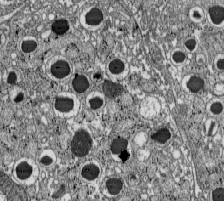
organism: C57BL Mouse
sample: Pancreatic islet